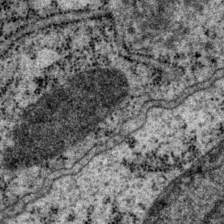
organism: P. pacificus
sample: Pharynx